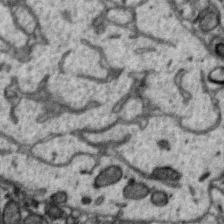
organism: Zebra finch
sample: Brain